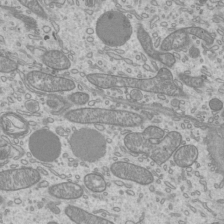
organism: Mouse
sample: Cilia; mouse epididymis